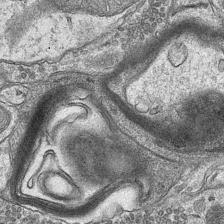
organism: Mouse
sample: CA1 Hippocampus